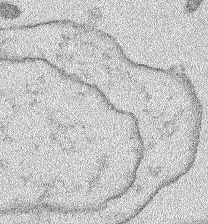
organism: Human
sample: HeLa cells